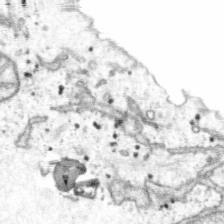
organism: Human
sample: HeLa cells